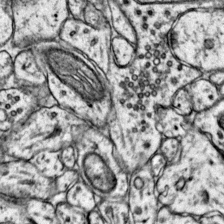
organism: Mouse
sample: Primary visual cortex